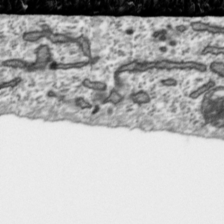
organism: Toxoplasma gondii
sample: Parasites in a vacuole inside a host cell